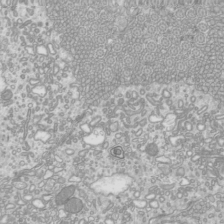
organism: Mouse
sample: Cilia; mouse epididymis